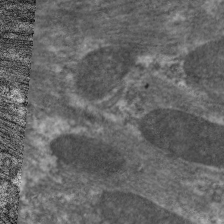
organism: C. elegans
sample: Pharynx